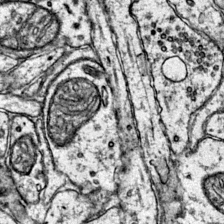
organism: Mouse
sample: Primary visual cortex